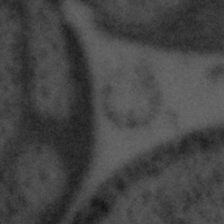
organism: Tuwongella immobilis